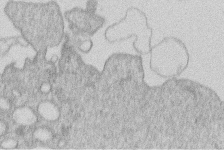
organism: Human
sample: Macrophage cells